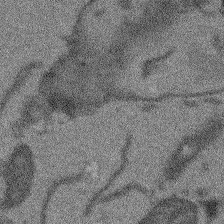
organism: Arabidopsis thaliana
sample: Root tip